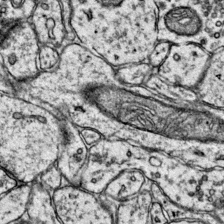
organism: Mouse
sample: Primary visual cortex